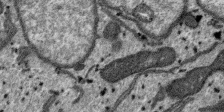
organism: Human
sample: Lung epithelial cells, uninfected (mock) control